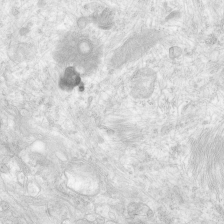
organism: Human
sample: Neocortex